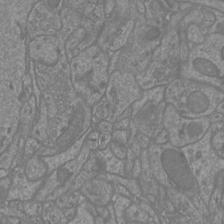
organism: Mouse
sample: Cortical neurons